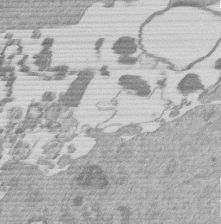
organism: Mouse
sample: Dividing mouse embryo 1 cell stage